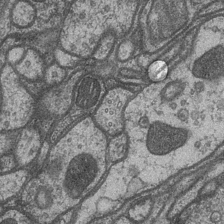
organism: Drosophila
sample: Optic medulla